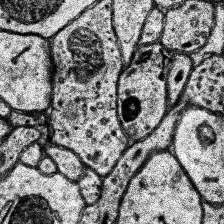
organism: Human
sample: Temporal Lobe